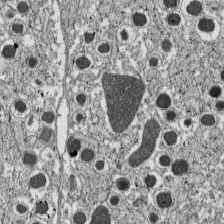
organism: C57BL Mouse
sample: Pancreatic islet